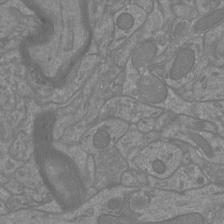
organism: Mouse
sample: Cortical neurons